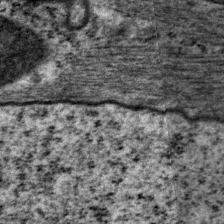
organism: P. pacificus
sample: Pharynx